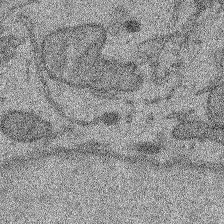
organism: Human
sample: HeLa cells